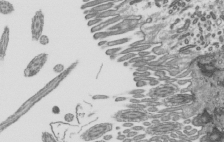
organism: Mouse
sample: Mouse epididymis efferent ductule cilia